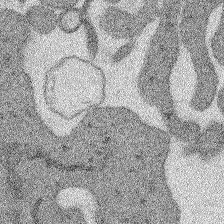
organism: Human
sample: HeLa cells